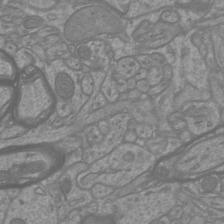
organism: Mouse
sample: Cortical neurons